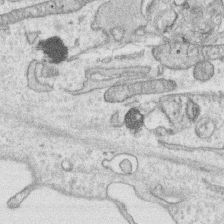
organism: Human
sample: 1205lu cells